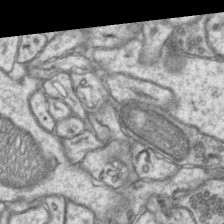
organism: Mouse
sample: CA1 Hippocampus